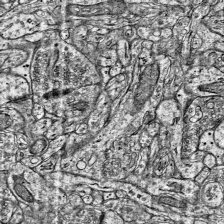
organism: Mouse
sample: Visual Cortex